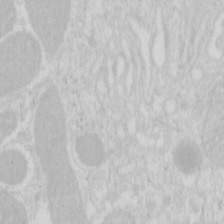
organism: Mouse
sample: Pancreas